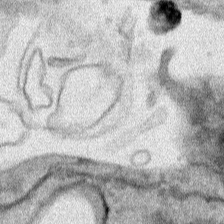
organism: Human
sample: Mitochondria in HCT116 cells